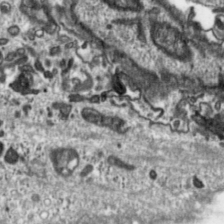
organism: Toxoplasma gondii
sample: Parasites in a vacuole inside a host cell